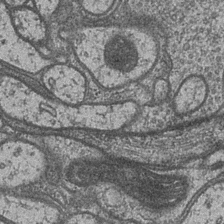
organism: Drosophila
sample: Optic medulla